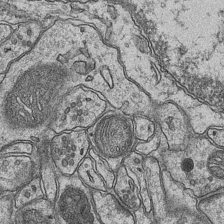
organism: Mouse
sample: CA1 Hippocampus